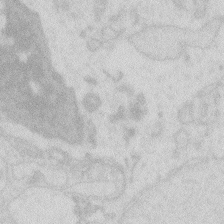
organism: Zebrafish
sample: Macrophage